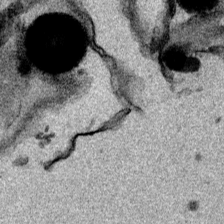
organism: Mouse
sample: Cancer cell death in ED-1 cells